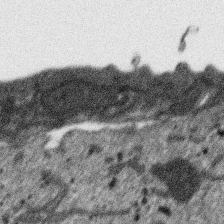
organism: Human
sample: Lung epithelial cells infected with SARS-CoV-2